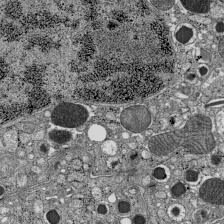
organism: C57BL Mouse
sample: Pancreatic islet